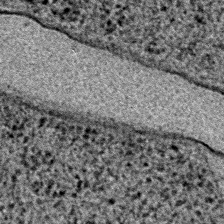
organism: E. coli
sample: E. Coli Bacteria